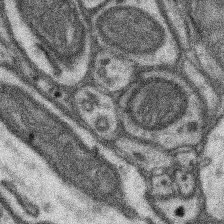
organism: Mouse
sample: Somatosensory cortex neuropil